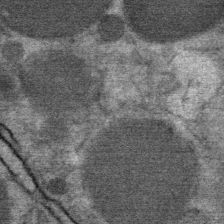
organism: Mouse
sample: Mouse Salivary gland